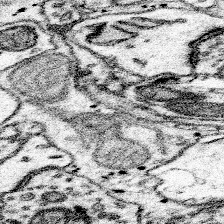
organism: Mouse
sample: Somatosensory cortex neuropil